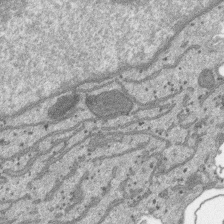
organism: Human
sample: Lung epithelial cells infected with SARS-CoV-2